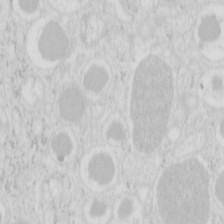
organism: Mouse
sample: Pancreas